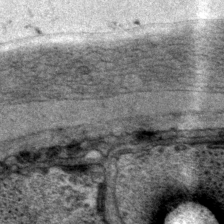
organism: P. pacificus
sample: Pharynx